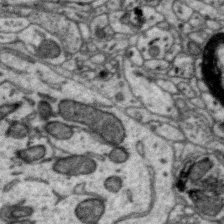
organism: Zebra finch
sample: Brain